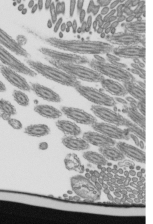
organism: Mouse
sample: Mouse epididymis efferent ductule cilia